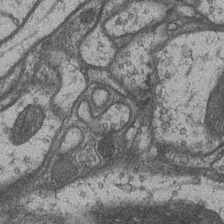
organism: Drosophila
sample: Optic medulla